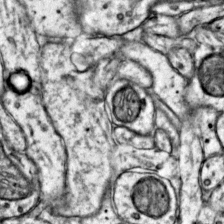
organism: Mouse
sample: Primary visual cortex